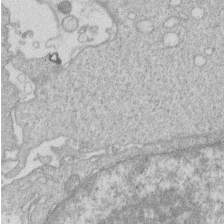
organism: Human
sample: Macrophage cells